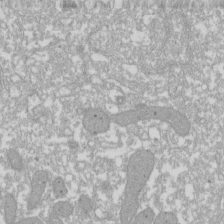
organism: Xenopus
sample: Cilia; centrioles in frog embryo cells